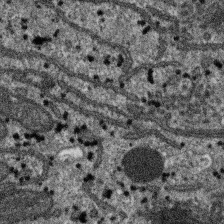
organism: Human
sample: Lung epithelial cells infected with SARS-CoV-2